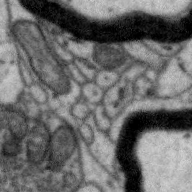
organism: Zebra finch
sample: Brain